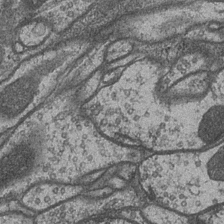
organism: Drosophila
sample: Optic medulla